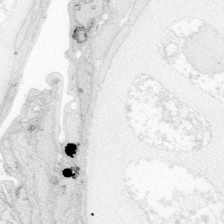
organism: Zebrafish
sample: Whole-Brain